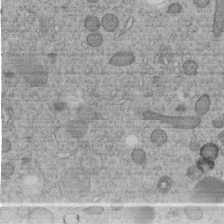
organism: C. elegans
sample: C. elegans embryo early stage